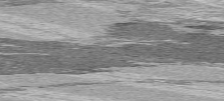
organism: C57BL Mouse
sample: Heart